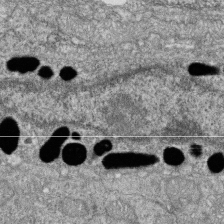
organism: Zebrafish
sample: Cilia; retinal pigment epithelium